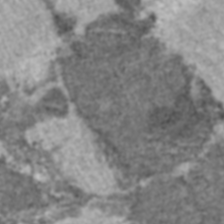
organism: C57BL Mouse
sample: Heart